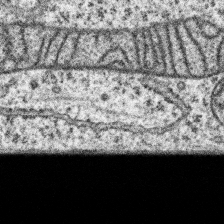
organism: Human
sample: HeLa cells